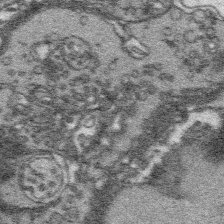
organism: Platynereis dumerilii